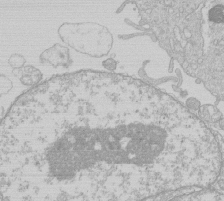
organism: Human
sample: Macrophage cells